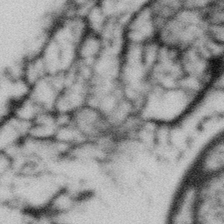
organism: Gemmata obscuriglobus